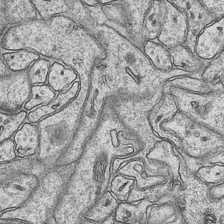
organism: Mouse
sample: CA1 Hippocampus